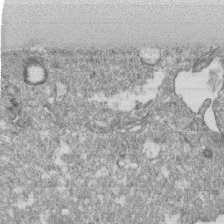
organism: African green monkey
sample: Vero E6 cells infected with SARS-CoV-2